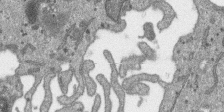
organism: Human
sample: Lung epithelial cells infected with SARS-CoV-2